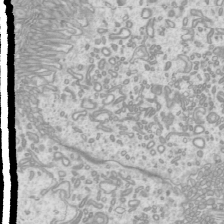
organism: Mouse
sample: Cilia; mouse epididymis